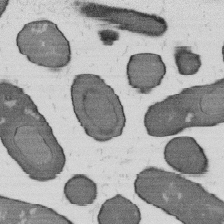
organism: B. subtilis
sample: Bacterial spore